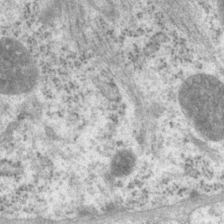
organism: P. pacificus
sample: Pharynx